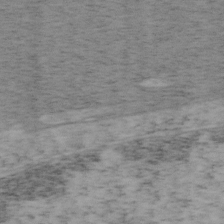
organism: Mouse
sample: OT-I killer T cells with ID8 ovarian cancer cells